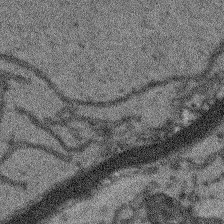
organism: Arabidopsis thaliana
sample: Root tip